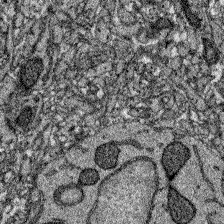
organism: Zebrafish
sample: Larval olfactory bulb